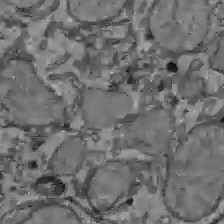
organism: C57BL Mouse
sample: Liver